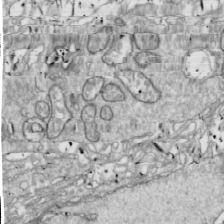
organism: Drosophila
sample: Cell division; meiosis; drosophila spermatocytes